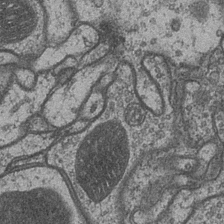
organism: Drosophila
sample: Optic medulla